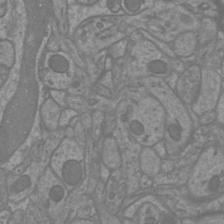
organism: Mouse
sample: Cortical neurons